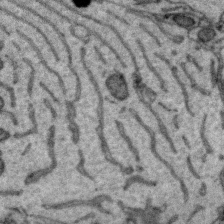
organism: Zebra finch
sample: Brain